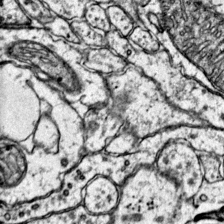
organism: Mouse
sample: Primary visual cortex